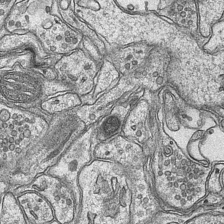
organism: Mouse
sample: CA1 Hippocampus